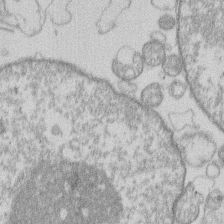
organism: Human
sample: Macrophage cells